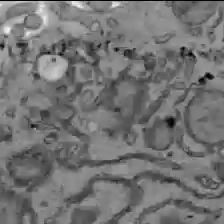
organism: C57BL Mouse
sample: Liver